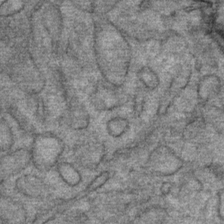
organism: Mouse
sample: Mouse Salivary gland